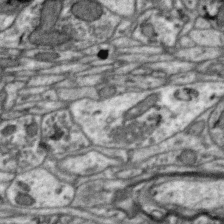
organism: Zebra finch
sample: Brain